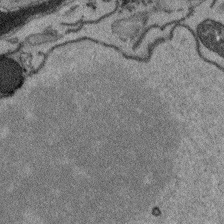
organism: Arabidopsis thaliana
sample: Root tip